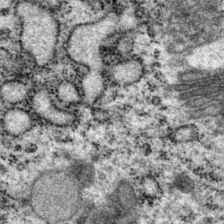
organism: P. pacificus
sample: Pharynx